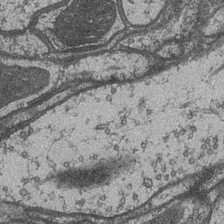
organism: Drosophila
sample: Optic medulla